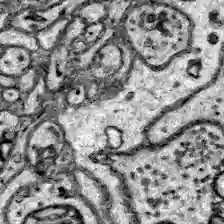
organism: Zebrafish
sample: Brain